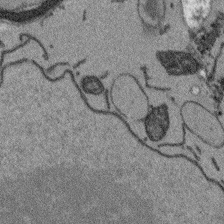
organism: Arabidopsis thaliana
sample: Root tip